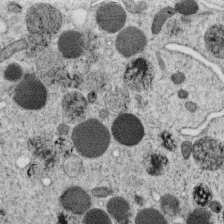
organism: C. elegans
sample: C. elegans oocyte; sperm cells